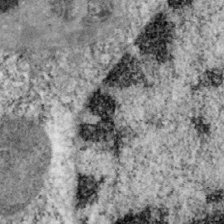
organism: Mouse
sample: OT-I killer T cells with ID8 ovarian cancer cells